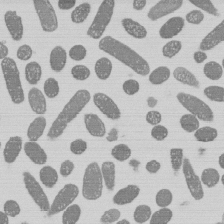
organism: E. coli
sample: Bacterial nucleoid